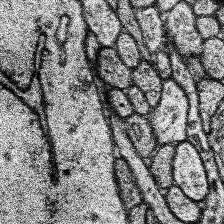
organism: Human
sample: Temporal Lobe